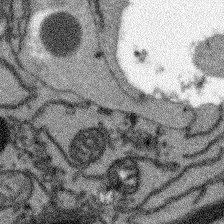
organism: Arabidopsis thaliana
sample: Root tip